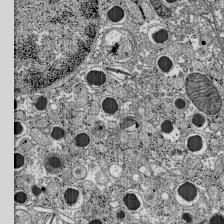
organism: C57BL Mouse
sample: Pancreatic islet